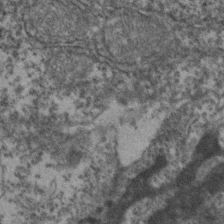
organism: Zebrafish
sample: Zebrafish embryo